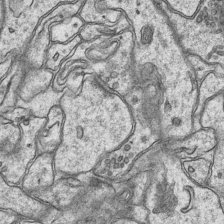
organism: Mouse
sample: CA1 Hippocampus